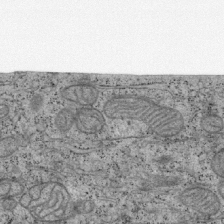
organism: Human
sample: HeLa cells